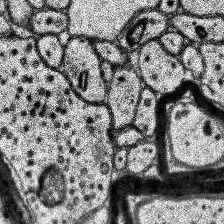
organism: Human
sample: Temporal Lobe